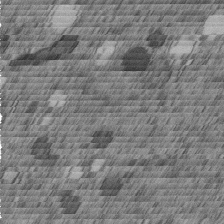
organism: C. elegans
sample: C. elegans embryo early stage